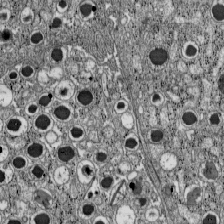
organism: C57BL Mouse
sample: Pancreatic islet